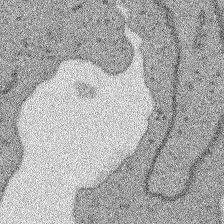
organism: Human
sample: HeLa cells